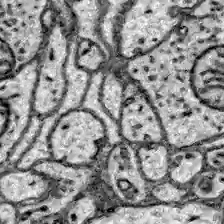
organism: Zebrafish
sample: Brain